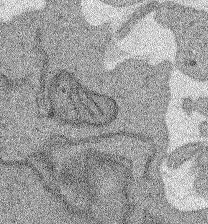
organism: Human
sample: HeLa cells